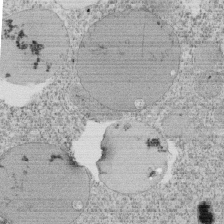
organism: Tetrahymena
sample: Cilia in tetrahymena